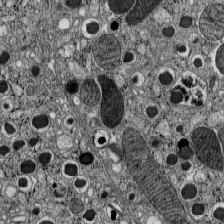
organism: C57BL Mouse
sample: Pancreatic islet